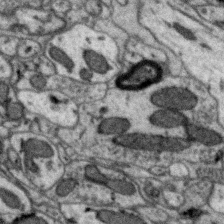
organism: Zebra finch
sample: Brain